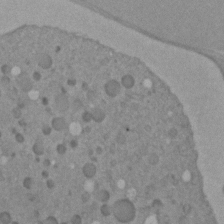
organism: C. elegans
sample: C. elegans embryo